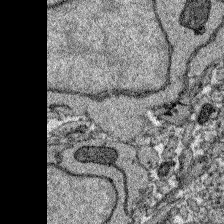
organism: Zebrafish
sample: Larval olfactory bulb